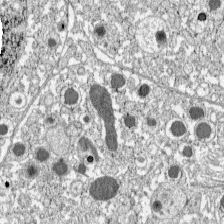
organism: C57BL Mouse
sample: Pancreatic islet